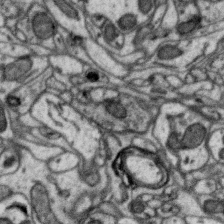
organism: Zebra finch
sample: Brain